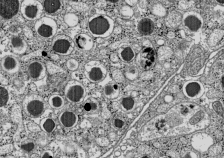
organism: C57BL Mouse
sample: Pancreatic islet